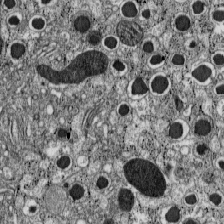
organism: C57BL Mouse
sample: Pancreatic islet